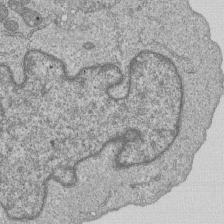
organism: Human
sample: MDA-MB-231 cells